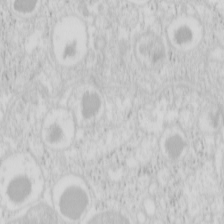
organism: Mouse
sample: Pancreas